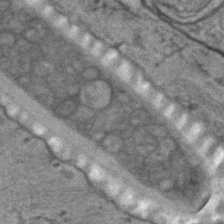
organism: C. elegans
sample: C. elegans embryo